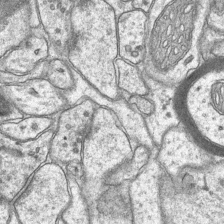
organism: Mouse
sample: CA1 Hippocampus